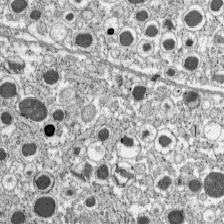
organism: C57BL Mouse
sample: Pancreatic islet